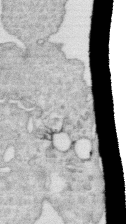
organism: Human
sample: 1205lu cells